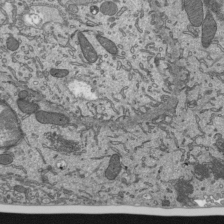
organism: Mouse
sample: Mouse epididymis efferent ductule cilia